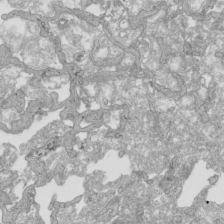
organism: Human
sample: Mitochondria in HCT116 cells